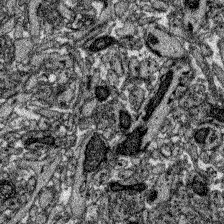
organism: Zebrafish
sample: Larval olfactory bulb